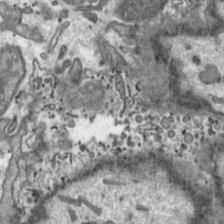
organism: Toxoplasma gondii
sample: Parasites in a vacuole inside a host cell